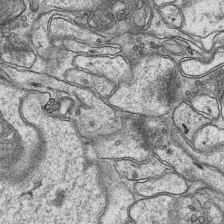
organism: Mouse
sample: CA1 Hippocampus